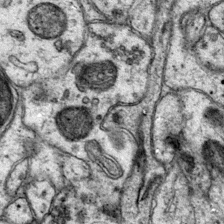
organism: Mouse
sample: Primary visual cortex